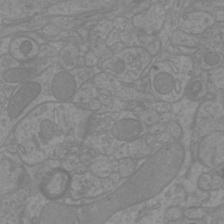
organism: Mouse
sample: Cortical neurons